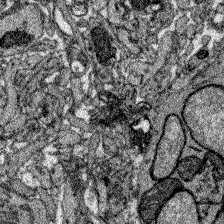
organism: Zebrafish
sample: Larval olfactory bulb